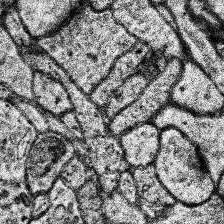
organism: Human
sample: Temporal Lobe